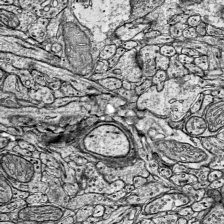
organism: Mouse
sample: Visual Cortex